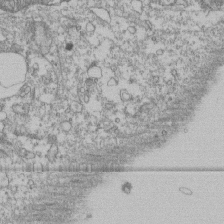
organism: Human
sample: Fibroblast cells